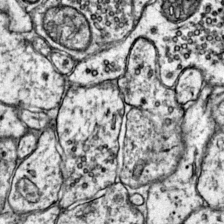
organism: Mouse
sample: Primary visual cortex